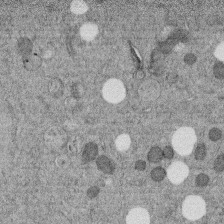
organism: C. elegans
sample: C. elegans embryo early stage